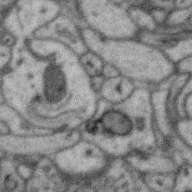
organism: Zebra finch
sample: Brain